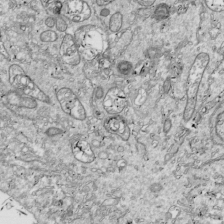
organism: Drosophila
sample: Cell division; meiosis; drosophila spermatocytes